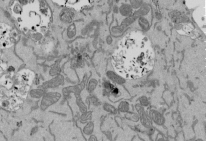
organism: Mouse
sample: ED-1 cell nuclei; centrioles